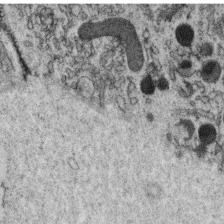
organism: C. elegans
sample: C. elegans oocyte; sperm cells